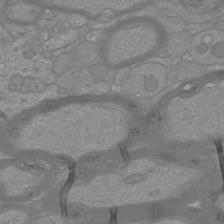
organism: Mouse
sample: Cortical neurons